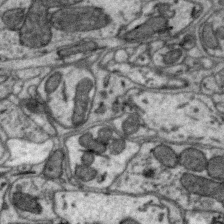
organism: Zebra finch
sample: Brain